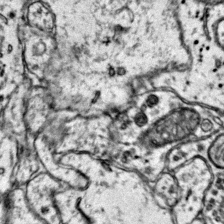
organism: Mouse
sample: Primary visual cortex